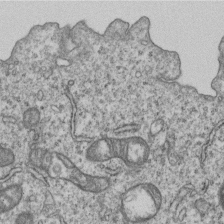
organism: Human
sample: MDA-MB-231 cells